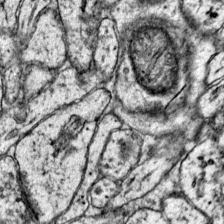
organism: Mouse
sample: Primary visual cortex